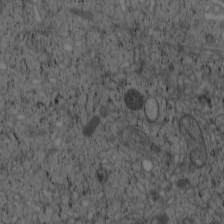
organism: African green monkey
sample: COS-7 cells